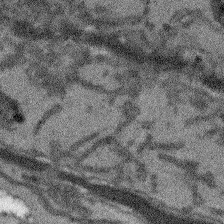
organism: Arabidopsis thaliana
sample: Root tip